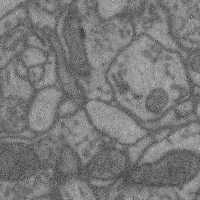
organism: Mouse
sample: Cerebral cortex